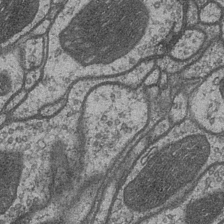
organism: Drosophila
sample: Optic medulla